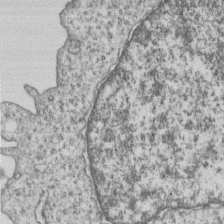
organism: Human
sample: MDA-MB-231 cells